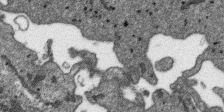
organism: Human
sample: Lung epithelial cells infected with SARS-CoV-2